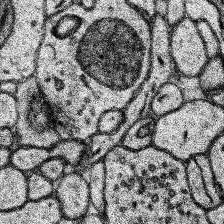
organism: Human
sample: Temporal Lobe